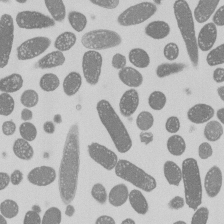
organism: E. coli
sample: Bacterial nucleoid